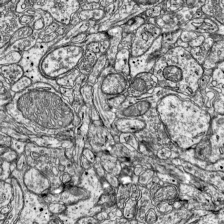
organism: Mouse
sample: Visual Cortex